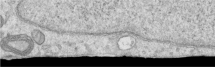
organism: Human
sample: Centriole in RPE cells